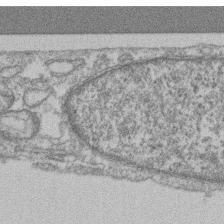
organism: Mouse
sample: T cell stromal cell synapse